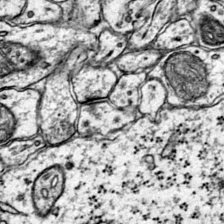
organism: Mouse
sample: Primary visual cortex